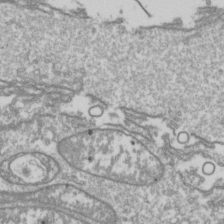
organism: Drosophila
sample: Cell division; meiosis; drosophila spermatocytes